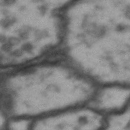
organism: Drosophila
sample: Brain